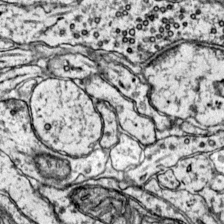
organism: Mouse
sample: Primary visual cortex